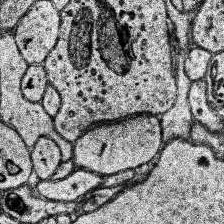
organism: Human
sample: Temporal Lobe